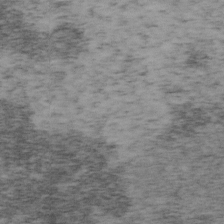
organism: Mouse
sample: OT-I killer T cells with ID8 ovarian cancer cells